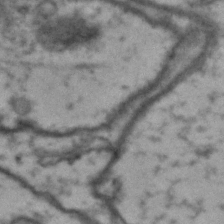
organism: Drosophila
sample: Brain